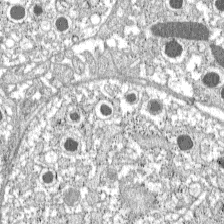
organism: C57BL Mouse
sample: Pancreatic islet